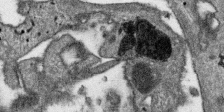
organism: Human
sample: Lung epithelial cells, uninfected (mock) control